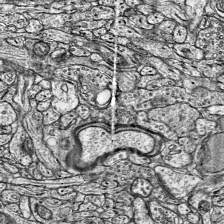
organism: Mouse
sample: Visual Cortex